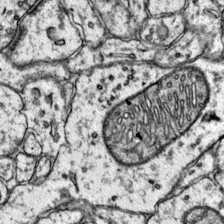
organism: Mouse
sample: Primary visual cortex